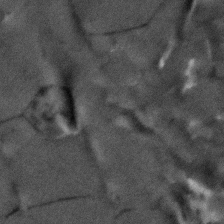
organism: Human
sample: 1205lu cells